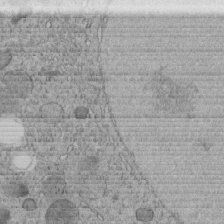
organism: C. elegans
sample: C. elegans embryo early stage